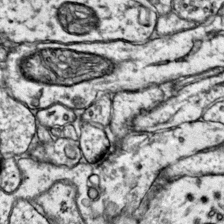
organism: Mouse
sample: Primary visual cortex